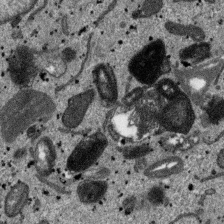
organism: Human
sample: Lung epithelial cells, uninfected (mock) control